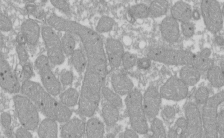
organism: Xenopus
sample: Cilia; centrioles in frog embryo cells